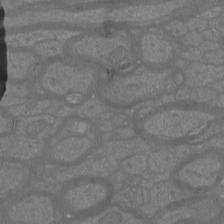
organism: Mouse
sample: Cortical neurons